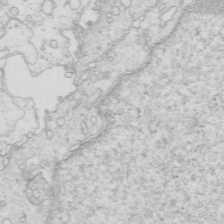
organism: Mouse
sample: Multiciliated cells